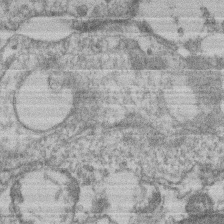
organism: Mouse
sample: T cell stromal cell synapse